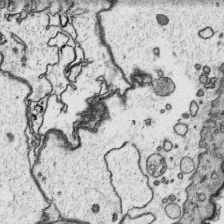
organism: Platynereis dumerilii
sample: Parapodia